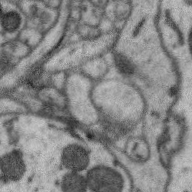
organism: Zebra finch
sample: Brain